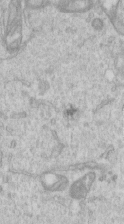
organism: Human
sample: Centriole in RPE cells